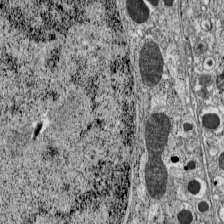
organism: C57BL Mouse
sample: Pancreatic islet